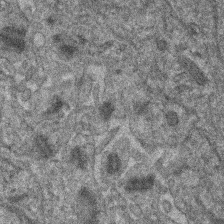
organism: Human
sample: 1205lu cells